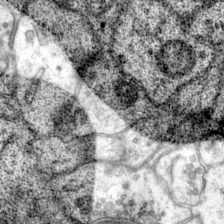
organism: Mouse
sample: Primary visual cortex